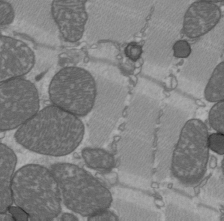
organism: C57BL Mouse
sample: Heart